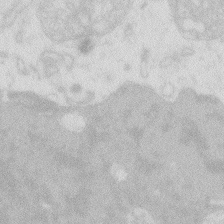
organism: Zebrafish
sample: Macrophage